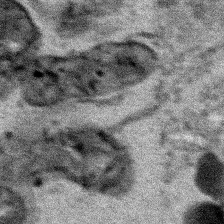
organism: Human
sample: Mitochondria in HCT116 cells